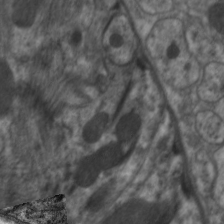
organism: C. elegans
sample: Pharynx